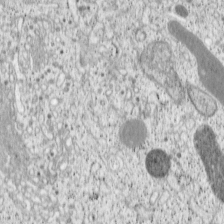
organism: African green monkey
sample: COS-7 cells